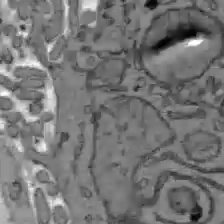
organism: C57BL Mouse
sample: Liver